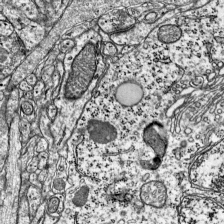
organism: Mouse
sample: Visual Cortex